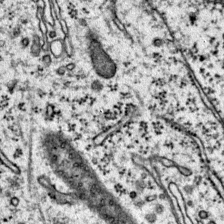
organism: Mouse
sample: Primary visual cortex